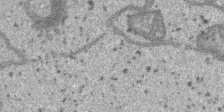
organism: Human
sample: Lung epithelial cells infected with SARS-CoV-2